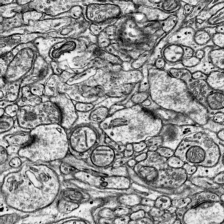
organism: Mouse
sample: Visual Cortex